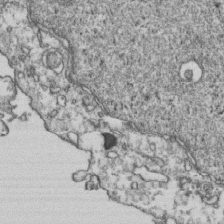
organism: Human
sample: Activated Jurkat CD4+ T cells